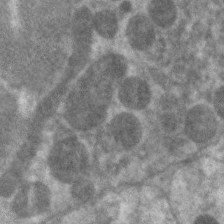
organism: C. elegans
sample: Pharynx